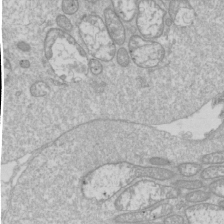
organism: Drosophila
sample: Cell division; meiosis; drosophila spermatocytes